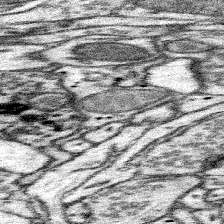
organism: Mouse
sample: Somatosensory cortex neuropil